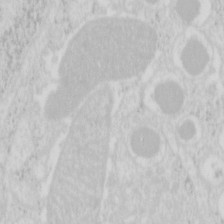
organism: Mouse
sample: Pancreas